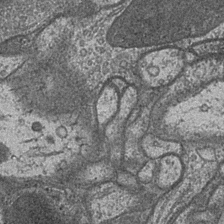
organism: Drosophila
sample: Optic medulla